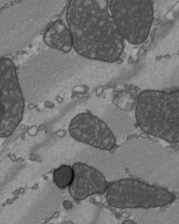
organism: C57BL Mouse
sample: Heart